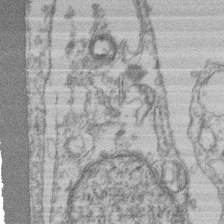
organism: Mouse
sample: T cell stromal cell synapse